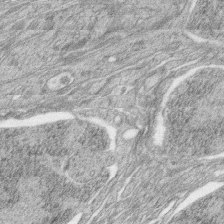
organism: Zebrafish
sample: synaptic ribbons in rod cells and cone cells